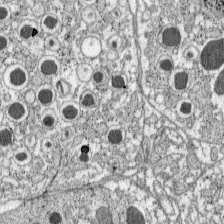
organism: C57BL Mouse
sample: Pancreatic islet